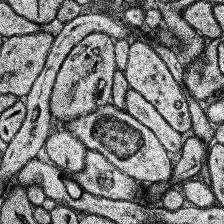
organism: Human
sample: Temporal Lobe